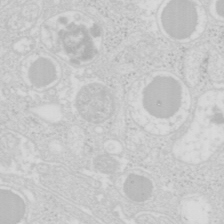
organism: Mouse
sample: Pancreas